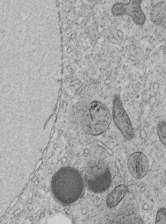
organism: C. elegans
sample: C. elegans embryo early stage